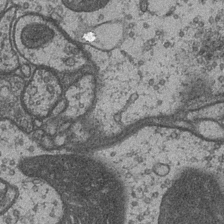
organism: Drosophila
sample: Optic medulla